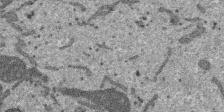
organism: Human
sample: Lung epithelial cells infected with SARS-CoV-2